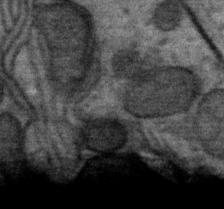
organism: Mouse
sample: Mouse Salivary gland